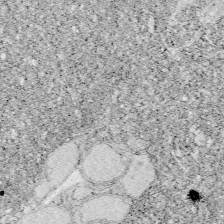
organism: Zebrafish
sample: Whole-Brain